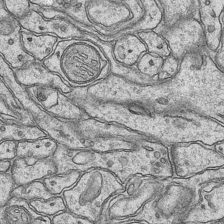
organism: Mouse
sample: CA1 Hippocampus